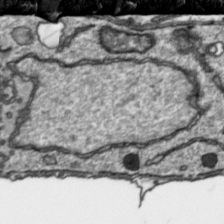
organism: Toxoplasma gondii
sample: Parasites in a vacuole inside a host cell